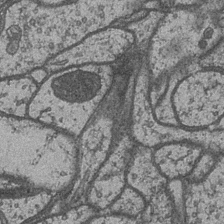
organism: Drosophila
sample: Optic medulla